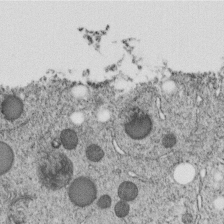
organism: C. elegans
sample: C. elegans embryo early stage